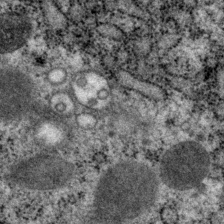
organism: P. pacificus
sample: Pharynx